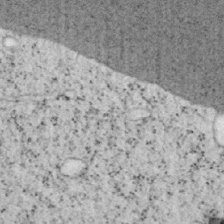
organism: Mouse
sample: OT-I killer T cells with ID8 ovarian cancer cells